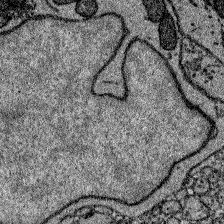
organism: Zebrafish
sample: Larval olfactory bulb